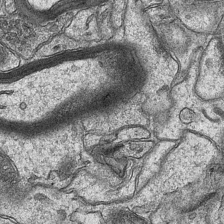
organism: Mouse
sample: CA1 Hippocampus